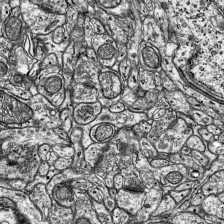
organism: Mouse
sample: Visual Cortex